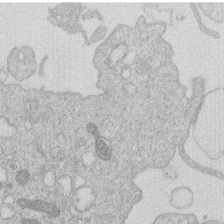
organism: Human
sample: Macrophage cells